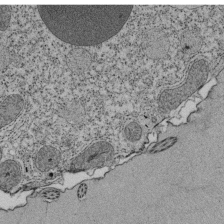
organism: Tetrahymena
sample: Cilia in tetrahymena